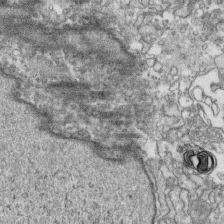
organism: Human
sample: CRL-1474